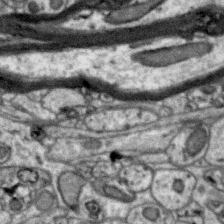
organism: Zebra finch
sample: Brain